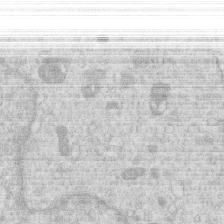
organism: Human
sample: Macrophage cells